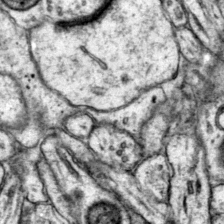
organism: Mouse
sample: Primary visual cortex